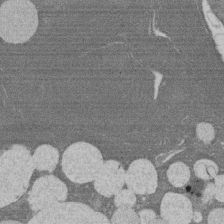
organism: Rat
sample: Salivary granule